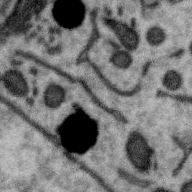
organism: Zebra finch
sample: Brain